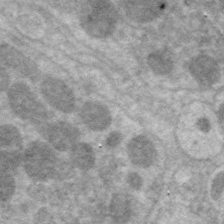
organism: C. elegans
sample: Pharynx